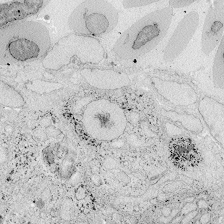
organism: Zebrafish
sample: Whole-Brain